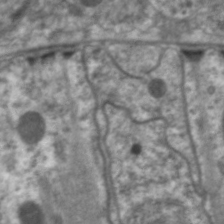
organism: C. elegans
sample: Pharynx